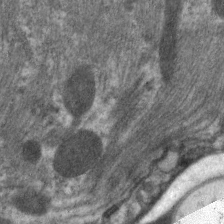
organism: C. elegans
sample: Pharynx